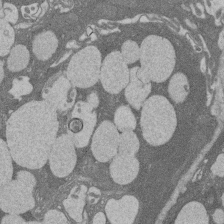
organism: Rat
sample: Salivary granule